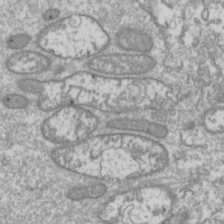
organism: Drosophila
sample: Cell division; meiosis; drosophila spermatocytes